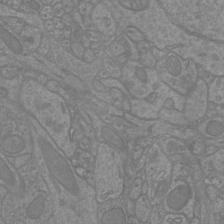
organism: Mouse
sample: Cortical neurons